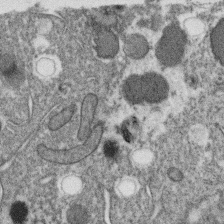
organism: C. elegans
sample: C. elegans oocyte; sperm cells